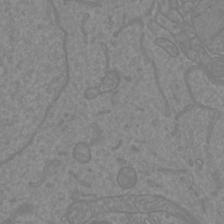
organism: Mouse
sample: Cortical neurons